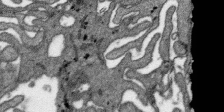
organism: Human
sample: Lung epithelial cells, uninfected (mock) control